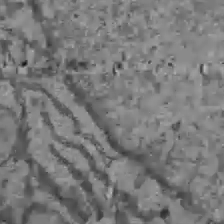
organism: C57BL Mouse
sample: Liver